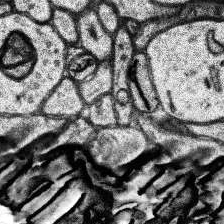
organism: Human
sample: Temporal Lobe